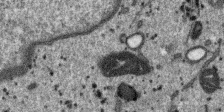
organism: Human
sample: Lung epithelial cells infected with SARS-CoV-2